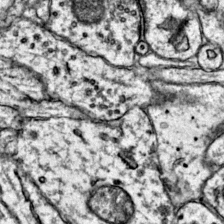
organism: Mouse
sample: Primary visual cortex